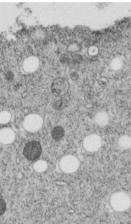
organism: C. elegans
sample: C. elegans embryo early stage